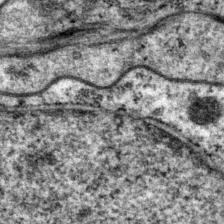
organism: P. pacificus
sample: Pharynx